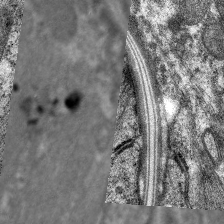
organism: C. elegans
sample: Pharynx